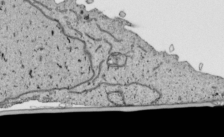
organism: Human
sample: Mitochondria in HCT116 cells